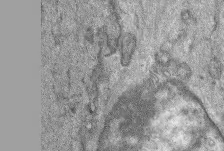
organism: Mouse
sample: Corneal nerves